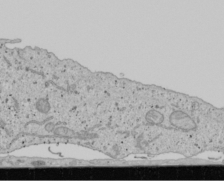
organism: Human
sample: Mitochondria in U2OS cells